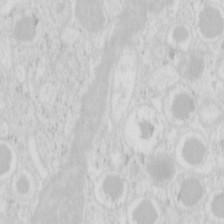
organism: Mouse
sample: Pancreas